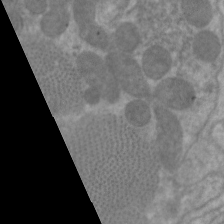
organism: C. elegans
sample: Pharynx